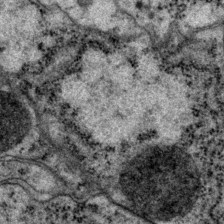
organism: P. pacificus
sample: Pharynx